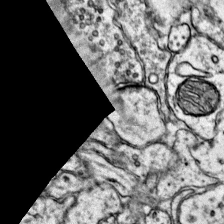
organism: Mouse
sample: Primary visual cortex